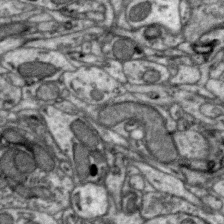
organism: Zebra finch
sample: Brain